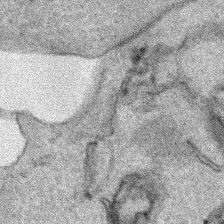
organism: Human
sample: Mitochondria in HCT116 cells